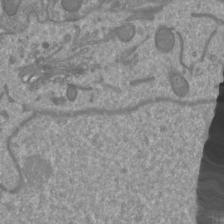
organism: Mouse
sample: Cortical neurons